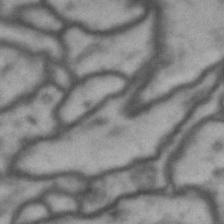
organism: Drosophila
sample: Brain